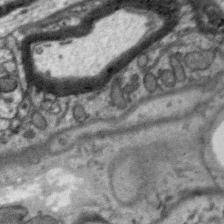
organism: Zebra finch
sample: Brain